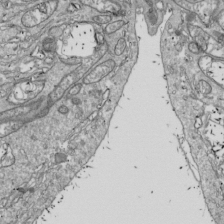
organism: Drosophila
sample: Cell division; meiosis; drosophila spermatocytes